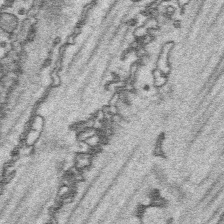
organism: Platynereis dumerilii